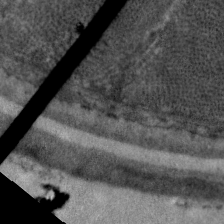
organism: C. elegans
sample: Pharynx